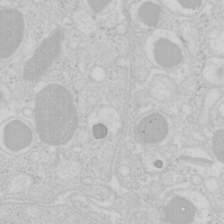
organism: Mouse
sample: Pancreas